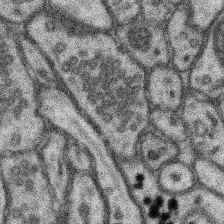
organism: Mouse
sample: Somatosensory cortex neuropil